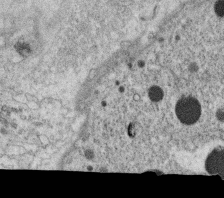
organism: C. elegans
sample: C. elegans oocyte; sperm cells